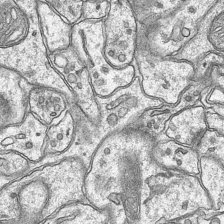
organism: Mouse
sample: CA1 Hippocampus